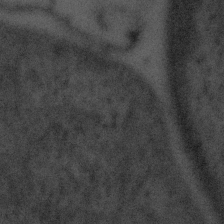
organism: Tuwongella immobilis